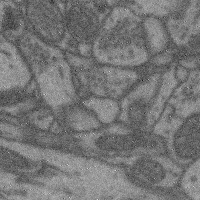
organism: Mouse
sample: Cerebral cortex